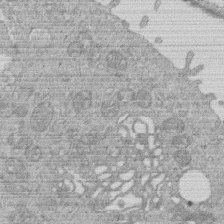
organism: Human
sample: Macrophage cells